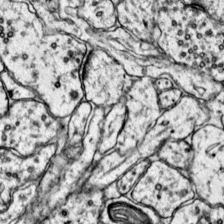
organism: Mouse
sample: Primary visual cortex